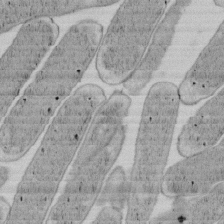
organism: E. coli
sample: Bacterial nucleoid